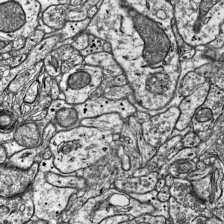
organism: Mouse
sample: Visual Cortex